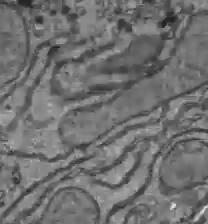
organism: C57BL Mouse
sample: Liver